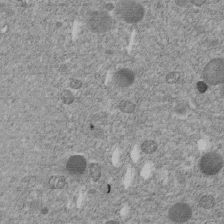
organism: C. elegans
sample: C. elegans embryo early stage